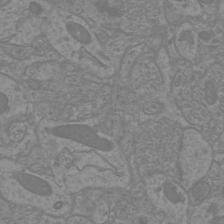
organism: Mouse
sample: Cortical neurons